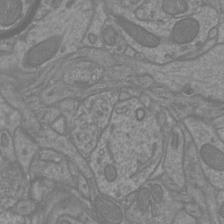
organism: Mouse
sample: Cortical neurons